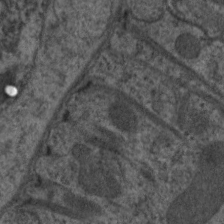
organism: C. elegans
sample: Pharynx